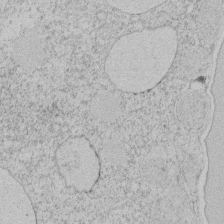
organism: Tetrahymena